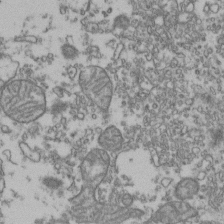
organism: Human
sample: Activated Jurkat CD4+ T cells